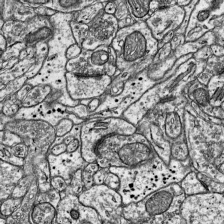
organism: Mouse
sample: Visual Cortex